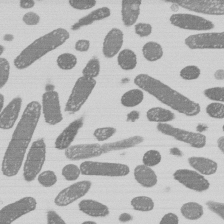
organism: E. coli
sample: Bacterial nucleoid